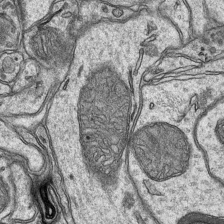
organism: Mouse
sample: CA1 Hippocampus